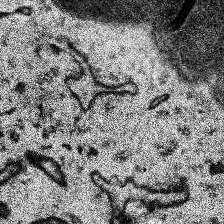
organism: Human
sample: Temporal Lobe